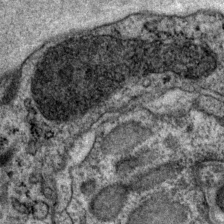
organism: P. pacificus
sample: Pharynx